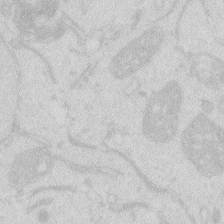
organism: Zebrafish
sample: Macrophage